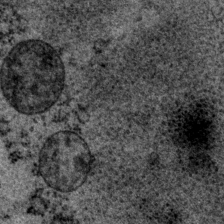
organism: P. pacificus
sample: Pharynx